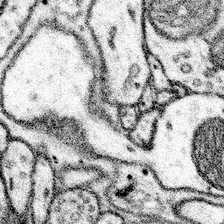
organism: Mouse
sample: Somatosensory cortex neuropil